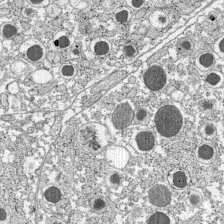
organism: C57BL Mouse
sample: Pancreatic islet